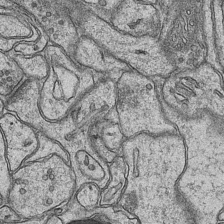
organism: Mouse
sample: CA1 Hippocampus